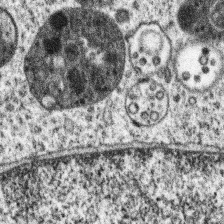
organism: Human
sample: HeLa cells